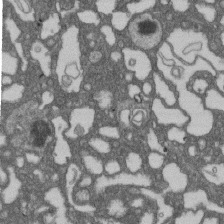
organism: Drosophila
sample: Nephrocyte